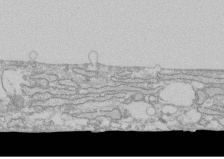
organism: Human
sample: CRL-1474